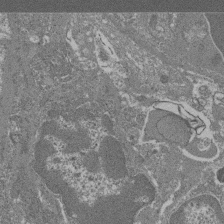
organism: Mouse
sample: Glomerulus